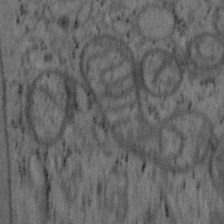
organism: Human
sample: HeLa cells